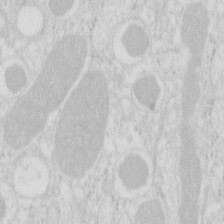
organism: Mouse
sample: Pancreas